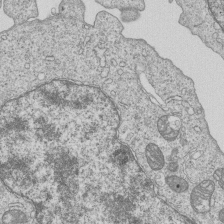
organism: Human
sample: MDA-MB-231 cells